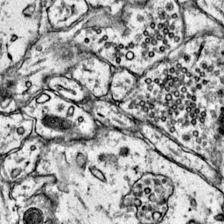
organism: Mouse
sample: Primary visual cortex